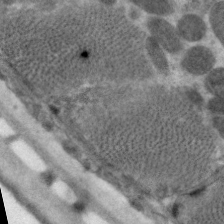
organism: C. elegans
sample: Pharynx